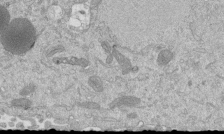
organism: Mouse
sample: ED-1 cell nuclei; centrioles